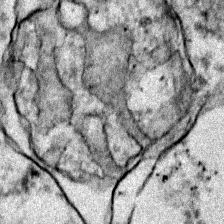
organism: Zebrafish